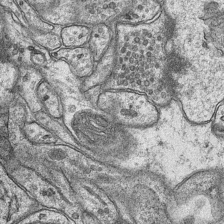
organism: Mouse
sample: CA1 Hippocampus